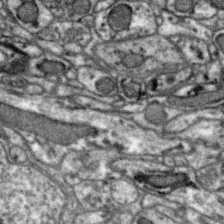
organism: Zebra finch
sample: Brain